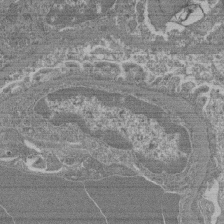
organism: Mouse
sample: Glomerulus